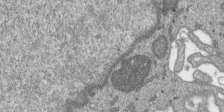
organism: Human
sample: Lung epithelial cells infected with SARS-CoV-2